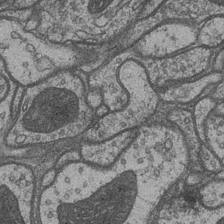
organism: Drosophila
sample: Optic medulla